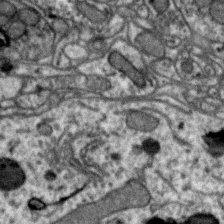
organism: Zebra finch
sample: Brain